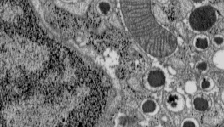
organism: C57BL Mouse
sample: Pancreatic islet